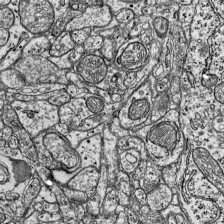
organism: Mouse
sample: Visual Cortex